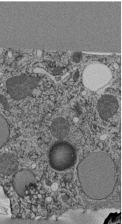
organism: C. elegans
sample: C. elegans pharynx